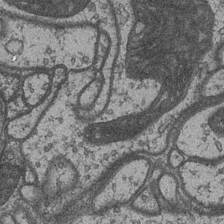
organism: Drosophila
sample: Optic medulla